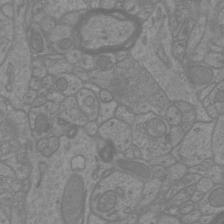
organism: Mouse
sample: Cortical neurons